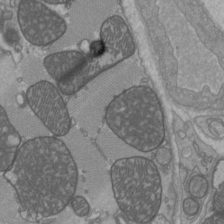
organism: C57BL Mouse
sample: Heart